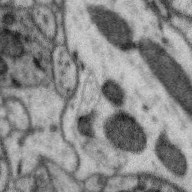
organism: Zebra finch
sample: Brain